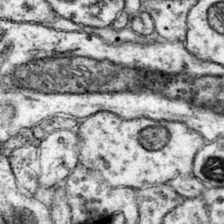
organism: Mouse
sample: Primary visual cortex